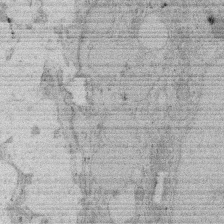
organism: Rat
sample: Salivary granule